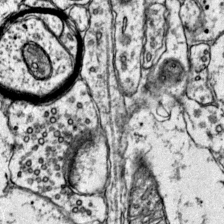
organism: Mouse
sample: Primary visual cortex